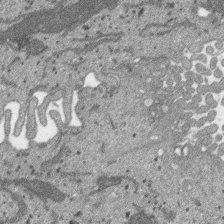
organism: Human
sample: Lung epithelial cells infected with SARS-CoV-2